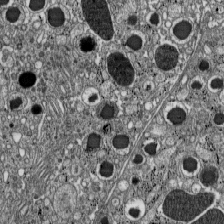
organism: C57BL Mouse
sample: Pancreatic islet